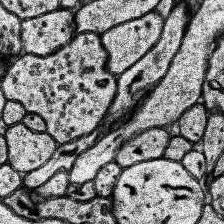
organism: Human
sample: Temporal Lobe